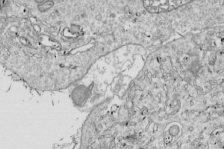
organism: Drosophila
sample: Cell division; meiosis; drosophila spermatocytes